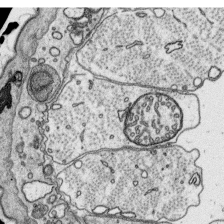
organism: Platynereis dumerilii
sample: Parapodia